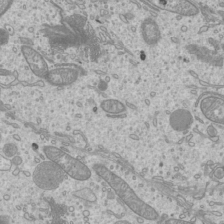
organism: Mouse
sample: Cilia; mouse epididymis